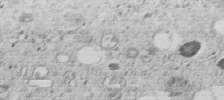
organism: C. elegans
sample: C. elegans embryo early stage